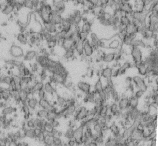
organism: Mouse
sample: Cilia; retinal pigment epithelium